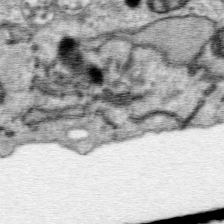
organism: Human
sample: HeLa cells